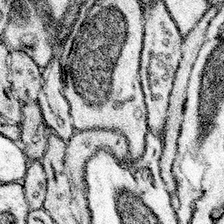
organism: Mouse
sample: Somatosensory cortex neuropil